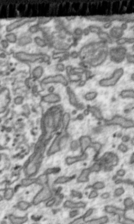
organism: Toxoplasma gondii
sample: Parasites in a vacuole inside a host cell